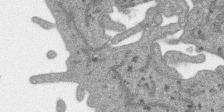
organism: Human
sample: Lung epithelial cells infected with SARS-CoV-2